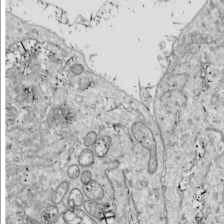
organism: Drosophila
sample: Cell division; meiosis; drosophila spermatocytes